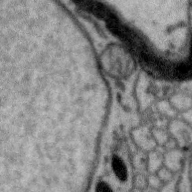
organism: Zebra finch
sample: Brain